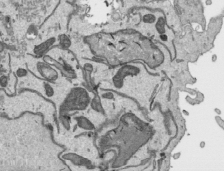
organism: Human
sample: Mitochondria in HCT116 cells